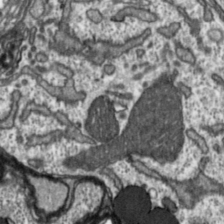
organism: Toxoplasma gondii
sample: Parasites in a vacuole inside a host cell